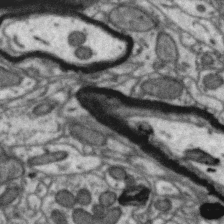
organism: Zebra finch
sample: Brain